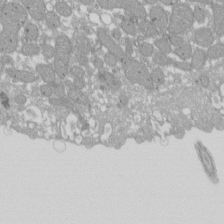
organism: Xenopus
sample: Cilia; centrioles in frog embryo cells